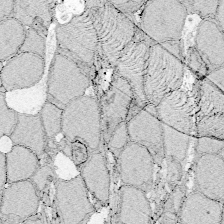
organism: Zebrafish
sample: Whole-Brain